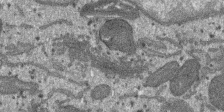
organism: Human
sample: Lung epithelial cells infected with SARS-CoV-2